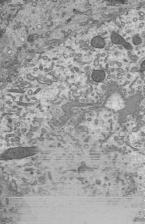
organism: Mouse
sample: Mouse epididymis efferent ductule cilia